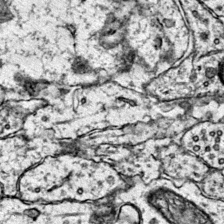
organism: Mouse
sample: Primary visual cortex